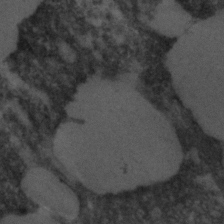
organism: C. elegans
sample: C. elegans embryo